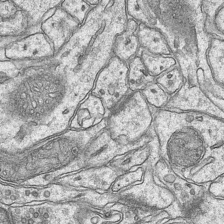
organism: Mouse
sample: CA1 Hippocampus